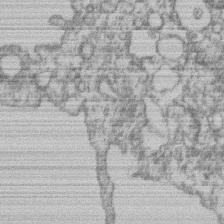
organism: Mouse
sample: T cell stromal cell synapse